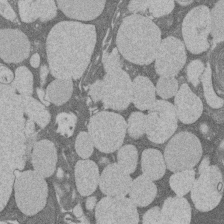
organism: Rat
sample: Salivary granule